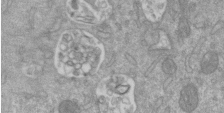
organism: Mouse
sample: ED-1 cell nuclei; centrioles